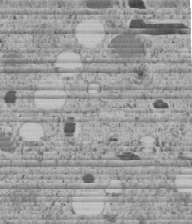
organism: C. elegans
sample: C. elegans embryo early stage